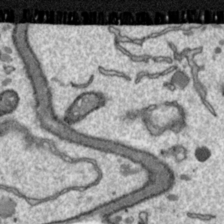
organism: Toxoplasma gondii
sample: Parasites in a vacuole inside a host cell